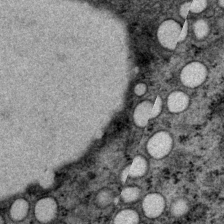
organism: P. pacificus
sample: Pharynx